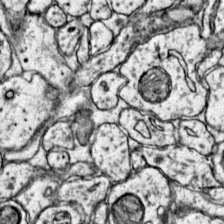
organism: Mouse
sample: Primary visual cortex